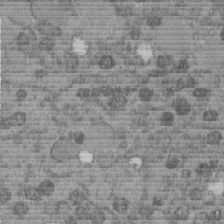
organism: C. elegans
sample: C. elegans embryo early stage